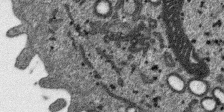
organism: Human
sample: Lung epithelial cells infected with SARS-CoV-2